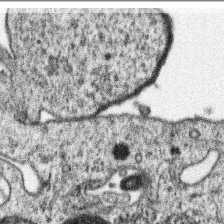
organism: Human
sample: HeLa cells